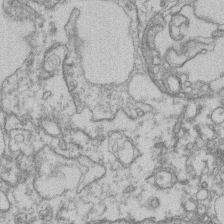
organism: Mouse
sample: T cell stromal cell synapse